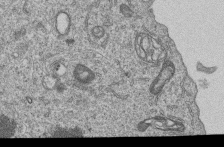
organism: Human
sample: MDA-MB-231 cells